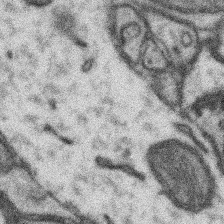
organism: Mouse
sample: Somatosensory cortex neuropil